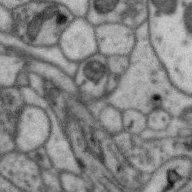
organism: Zebra finch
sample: Brain